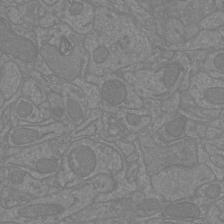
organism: Mouse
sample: Cortical neurons